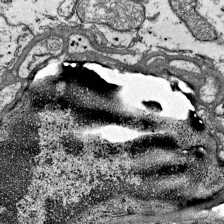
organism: Mouse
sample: Visual Cortex